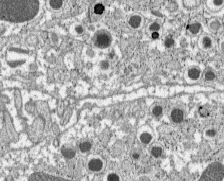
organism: C57BL Mouse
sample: Pancreatic islet